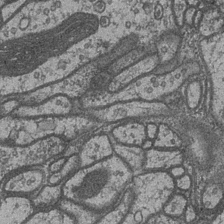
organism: Drosophila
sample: Optic medulla